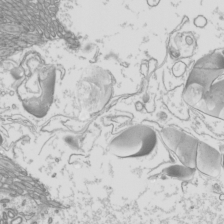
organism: Mouse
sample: Cilia; mouse epididymis